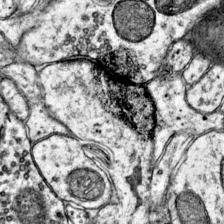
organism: Mouse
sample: Primary visual cortex